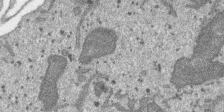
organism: Human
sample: Lung epithelial cells infected with SARS-CoV-2